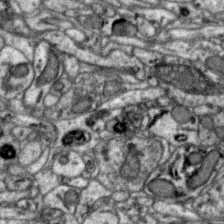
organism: Zebra finch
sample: Brain